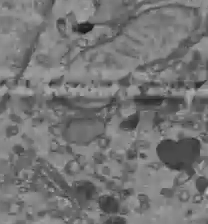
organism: C57BL Mouse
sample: Liver